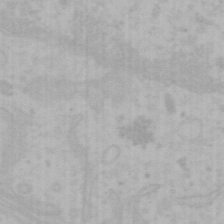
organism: Mouse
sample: Choroid plexus